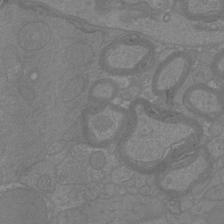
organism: Mouse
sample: Cortical neurons